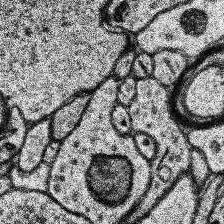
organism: Human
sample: Temporal Lobe